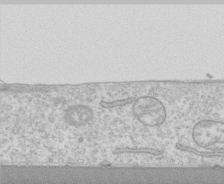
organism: Human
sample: CRL-1474